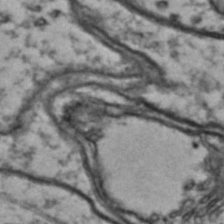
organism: Drosophila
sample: Brain